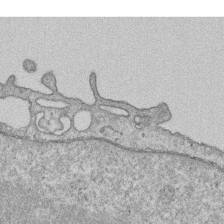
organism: Human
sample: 1205lu cells